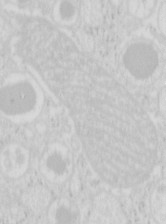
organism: Mouse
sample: Pancreas